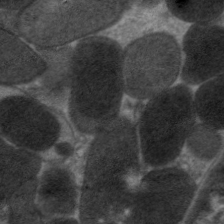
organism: C. elegans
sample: Pharynx